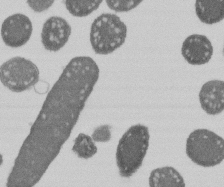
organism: E. coli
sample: Bacterial nucleoid